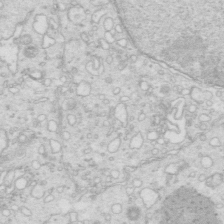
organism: Mouse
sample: Multiciliated cells